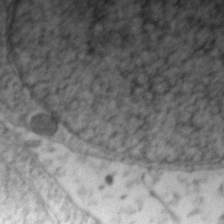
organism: Zebrafish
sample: Zebrafish embryo